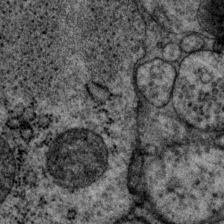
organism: P. pacificus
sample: Pharynx